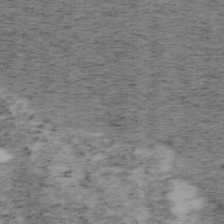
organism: Mouse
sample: OT-I killer T cells with ID8 ovarian cancer cells